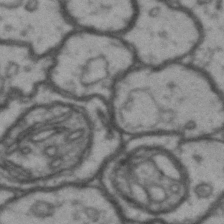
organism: Drosophila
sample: Brain